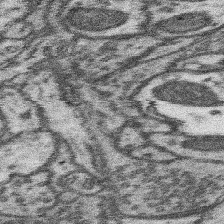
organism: Mouse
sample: Somatosensory cortex neuropil